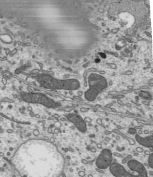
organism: Mouse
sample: Mouse epididymis efferent ductule cilia